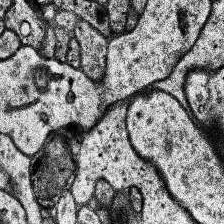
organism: Human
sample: Temporal Lobe